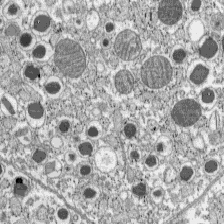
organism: C57BL Mouse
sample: Pancreatic islet